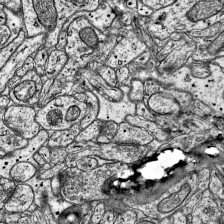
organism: Mouse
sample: Visual Cortex